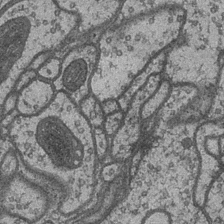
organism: Drosophila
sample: Optic medulla